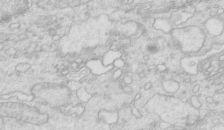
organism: Mouse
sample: Multiciliated cells